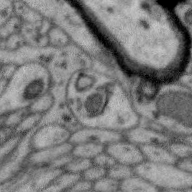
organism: Zebra finch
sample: Brain